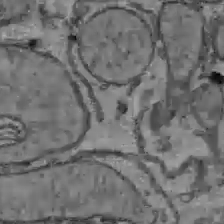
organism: C57BL Mouse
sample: Liver